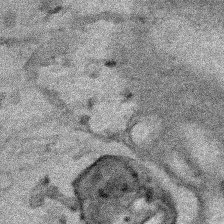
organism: Human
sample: Mitochondria in HCT116 cells